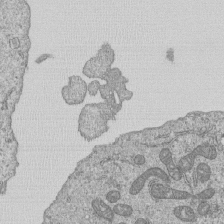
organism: Human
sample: MDA-MB-231 cells